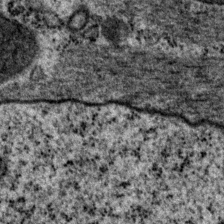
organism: P. pacificus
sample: Pharynx